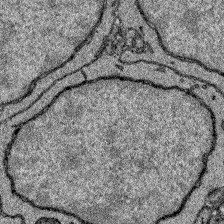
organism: Zebrafish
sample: Larval olfactory bulb